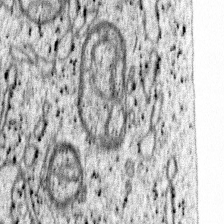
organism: Human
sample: HeLa cells